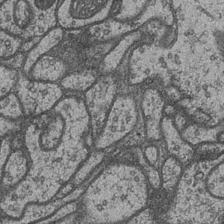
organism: Drosophila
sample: Optic medulla